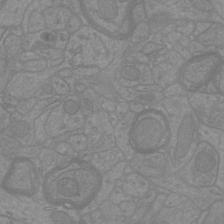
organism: Mouse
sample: Cortical neurons